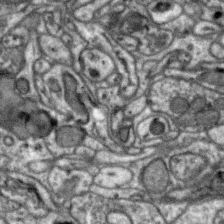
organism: Zebra finch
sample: Brain